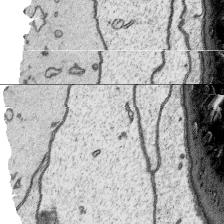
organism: Platynereis dumerilii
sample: Parapodia